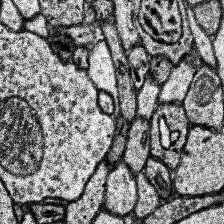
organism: Human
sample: Temporal Lobe